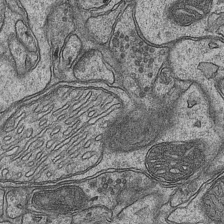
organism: Mouse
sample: CA1 Hippocampus